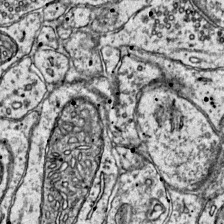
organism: Mouse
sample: Primary visual cortex